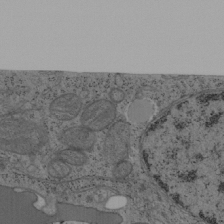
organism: Human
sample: HeLa cells